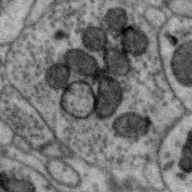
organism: Zebra finch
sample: Brain